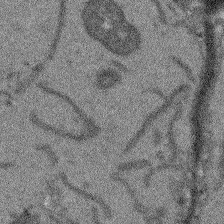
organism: Arabidopsis thaliana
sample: Root tip